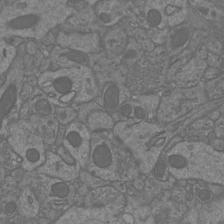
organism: Mouse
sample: Cortical neurons